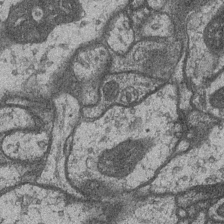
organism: Drosophila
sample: Optic medulla